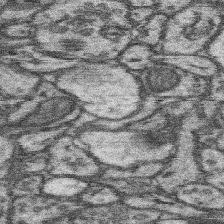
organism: Mouse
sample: Somatosensory cortex neuropil